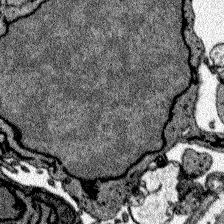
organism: Zebrafish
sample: Larval olfactory bulb